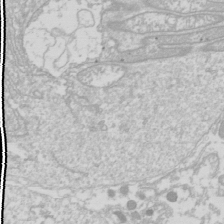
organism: Drosophila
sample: Cell division; meiosis; drosophila spermatocytes